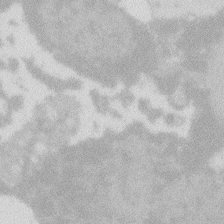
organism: Zebrafish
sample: Macrophage